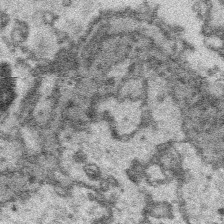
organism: Platynereis dumerilii